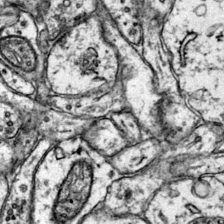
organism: Mouse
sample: Primary visual cortex